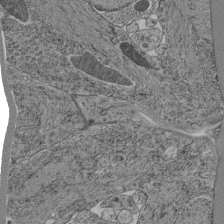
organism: C. elegans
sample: C. elegans pharynx